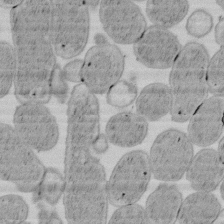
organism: E. coli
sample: Bacterial nucleoid